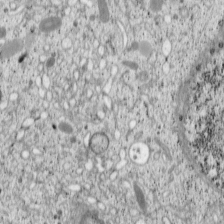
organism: African green monkey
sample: COS-7 cells